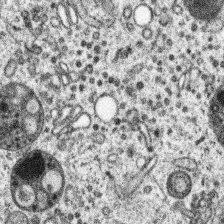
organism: Human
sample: HeLa cells